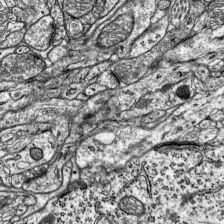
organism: Mouse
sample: Visual Cortex